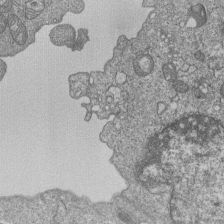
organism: Human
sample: MDA-MB-231 cells